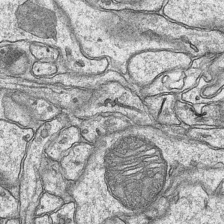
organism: Mouse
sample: CA1 Hippocampus